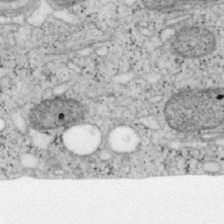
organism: Mouse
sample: OT-I killer T cells with ID8 ovarian cancer cells